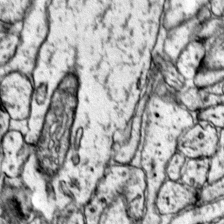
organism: Mouse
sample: Primary visual cortex